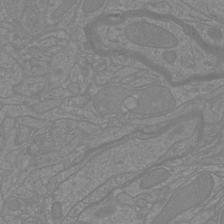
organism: Mouse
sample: Cortical neurons